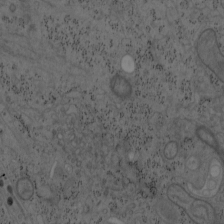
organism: Mouse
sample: OT-I killer T cells with ID8 ovarian cancer cells